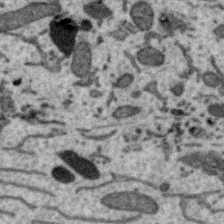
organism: Zebra finch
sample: Brain